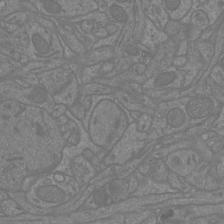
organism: Mouse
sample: Cortical neurons